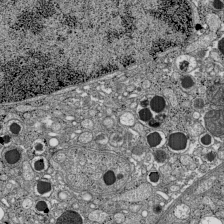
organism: C57BL Mouse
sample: Pancreatic islet